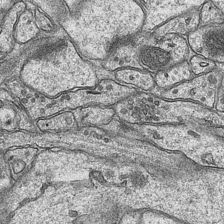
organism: Mouse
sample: CA1 Hippocampus